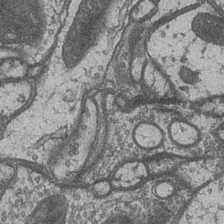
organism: Drosophila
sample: Optic medulla